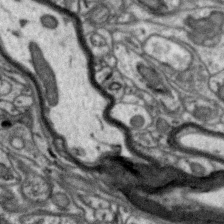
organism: Zebra finch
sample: Brain